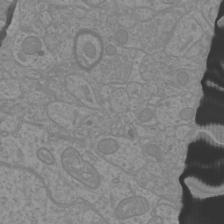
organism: Mouse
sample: Cortical neurons